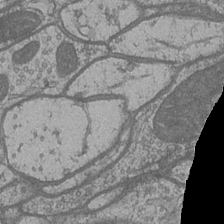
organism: Drosophila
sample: Optic medulla